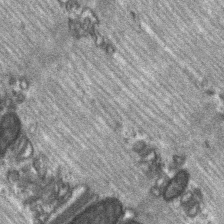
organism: C57BL Mouse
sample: Soleus